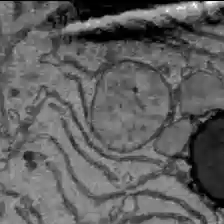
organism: C57BL Mouse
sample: Liver